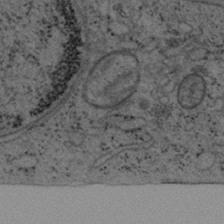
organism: Human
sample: HeLa cells